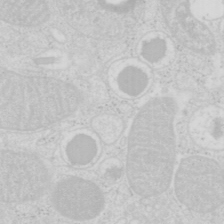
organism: Mouse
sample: Pancreas